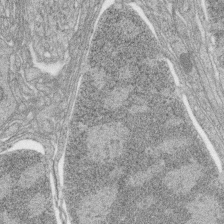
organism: Zebrafish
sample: synaptic ribbons in rod cells and cone cells